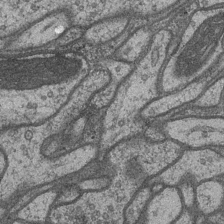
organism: Drosophila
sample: Optic medulla